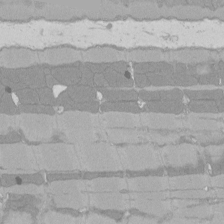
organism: Rat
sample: Left ventricle